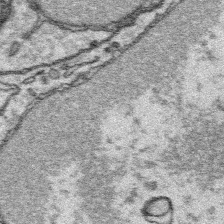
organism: Platynereis dumerilii